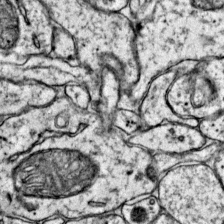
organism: Mouse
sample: Primary visual cortex